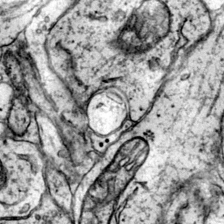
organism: Mouse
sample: Primary visual cortex